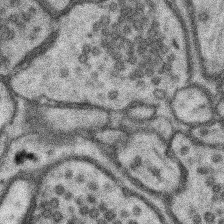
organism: Mouse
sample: Somatosensory cortex neuropil